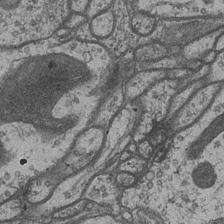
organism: Drosophila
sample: Optic medulla